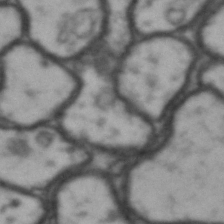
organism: Drosophila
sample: Brain